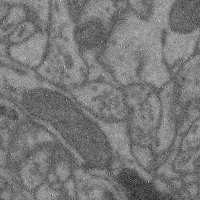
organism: Mouse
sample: Cerebral cortex